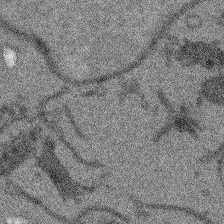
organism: Arabidopsis thaliana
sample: Root tip